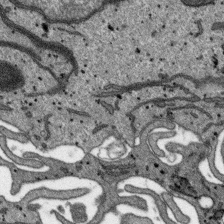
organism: Human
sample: Lung epithelial cells, uninfected (mock) control